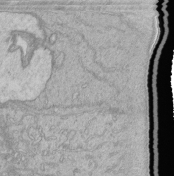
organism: Human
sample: Retinal organoid Rod and Cone cells